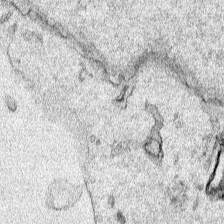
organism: Human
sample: Mitochondria in HCT116 cells